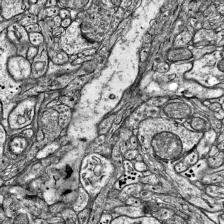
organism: Mouse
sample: Visual Cortex